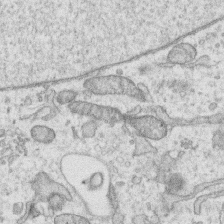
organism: Human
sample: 1205lu cells